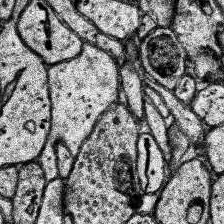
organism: Human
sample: Temporal Lobe